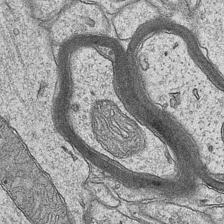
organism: Mouse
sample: CA1 Hippocampus